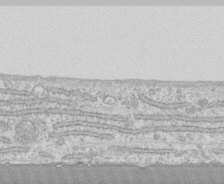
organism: Human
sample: CRL-1474